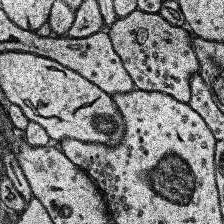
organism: Human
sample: Temporal Lobe